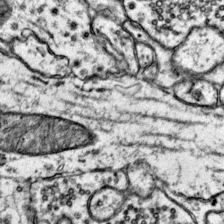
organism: Mouse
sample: Primary visual cortex